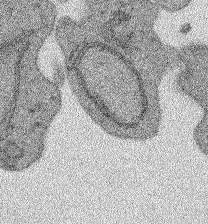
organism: Human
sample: HeLa cells